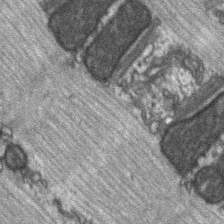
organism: C57BL Mouse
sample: Soleus